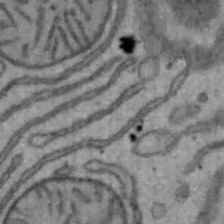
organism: Mouse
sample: Liver